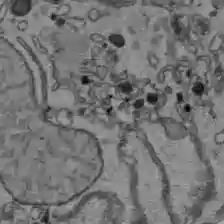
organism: C57BL Mouse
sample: Liver